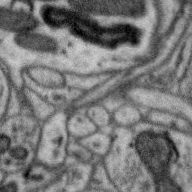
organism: Zebra finch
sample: Brain